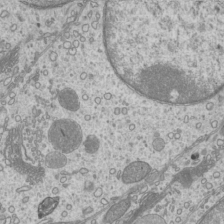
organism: Mouse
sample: Cilia; mouse epididymis